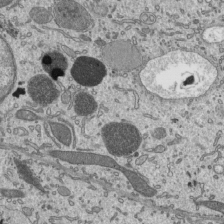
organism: Mouse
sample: Mouse epididymis efferent ductule cilia